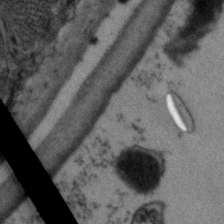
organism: C. elegans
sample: Pharynx